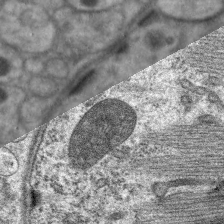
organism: C. elegans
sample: Pharynx